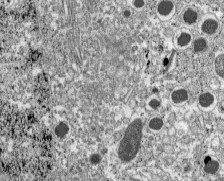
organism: C57BL Mouse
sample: Pancreatic islet